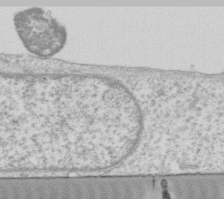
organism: Human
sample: Fibroblast cells